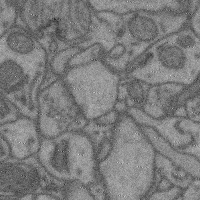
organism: Mouse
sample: Cerebral cortex